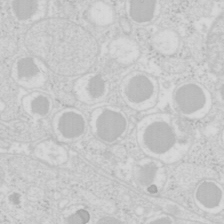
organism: Mouse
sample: Pancreas